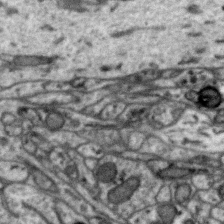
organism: Zebra finch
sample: Brain